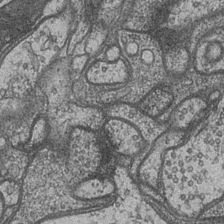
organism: Drosophila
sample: Optic medulla